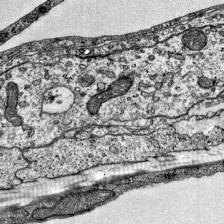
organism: Mouse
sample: Visual Cortex